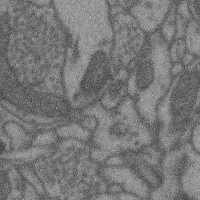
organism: Mouse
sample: Cerebral cortex